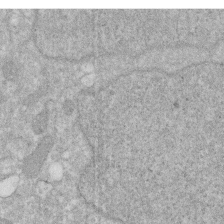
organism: Human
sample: HIV infected U937 cells